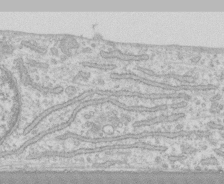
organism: Human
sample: CRL-1474